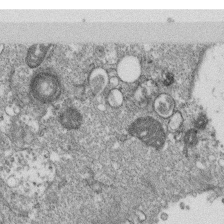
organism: African green monkey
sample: Vero E6 cells infected with SARS-CoV-2